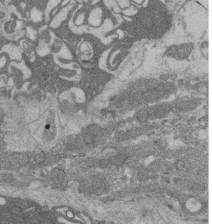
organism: Rat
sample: Salivary granule